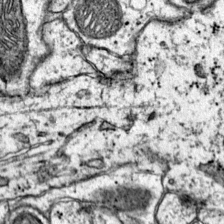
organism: Mouse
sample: Primary visual cortex